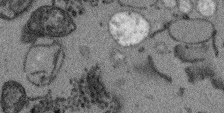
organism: Arabidopsis thaliana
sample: Root tip